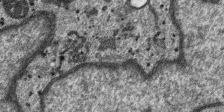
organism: Human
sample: Lung epithelial cells infected with SARS-CoV-2